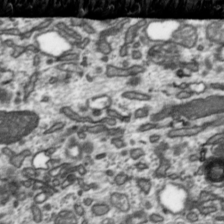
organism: Toxoplasma gondii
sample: Parasites in a vacuole inside a host cell